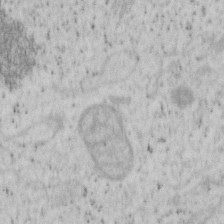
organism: Human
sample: HeLa cells